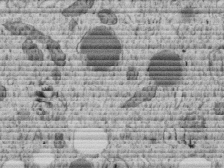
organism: C. elegans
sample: C. elegans embryo early stage